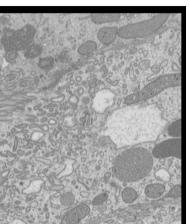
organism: Mouse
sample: Cilia; mouse epididymis